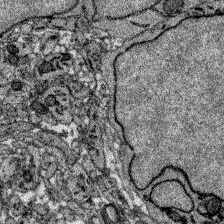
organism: Zebrafish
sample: Larval olfactory bulb